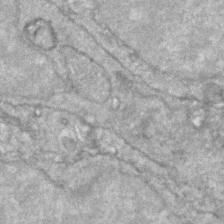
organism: Zebrafish